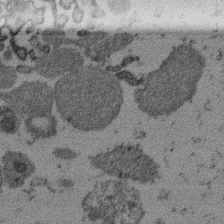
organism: Mouse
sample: Dividing mouse embryo 1 cell stage